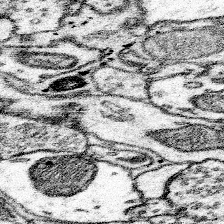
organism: Mouse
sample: Somatosensory cortex neuropil